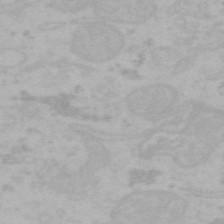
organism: Mouse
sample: Choroid plexus